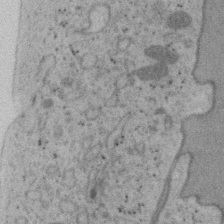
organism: Human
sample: HeLa cells